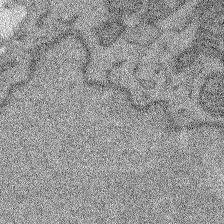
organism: Human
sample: HeLa cells